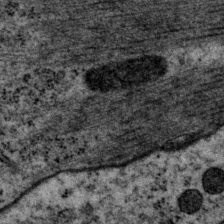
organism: P. pacificus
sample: Pharynx